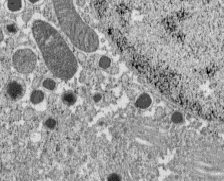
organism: C57BL Mouse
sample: Pancreatic islet